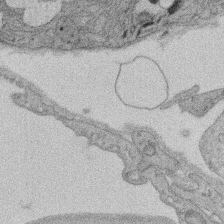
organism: Rat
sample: Salivary granule